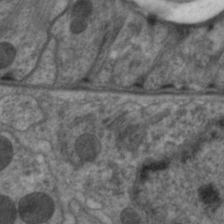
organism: C. elegans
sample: Pharynx